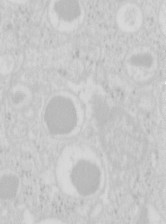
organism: Mouse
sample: Pancreas